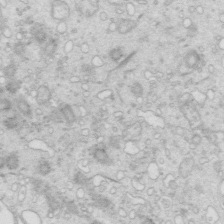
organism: Mouse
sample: Multiciliated cells